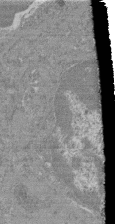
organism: Mouse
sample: Glomerulus